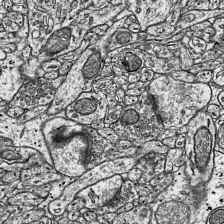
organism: Mouse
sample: Visual Cortex